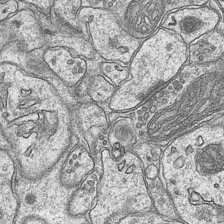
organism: Mouse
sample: CA1 Hippocampus